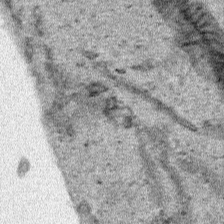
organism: Human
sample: Mitochondria in HCT116 cells